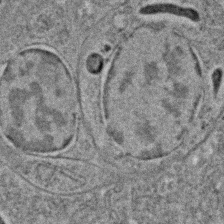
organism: C. elegans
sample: C. elegans embryo